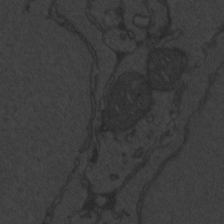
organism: Zebrafish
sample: Macrophage infected with Toxoplasma gondii